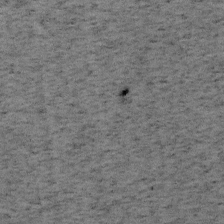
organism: Mouse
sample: OT-I killer T cells with ID8 ovarian cancer cells